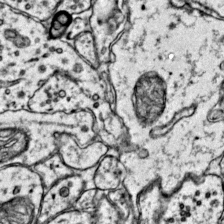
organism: Mouse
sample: Primary visual cortex